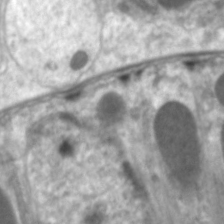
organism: C. elegans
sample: Pharynx